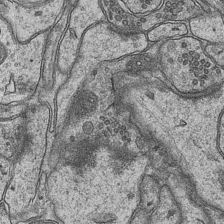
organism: Mouse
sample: CA1 Hippocampus